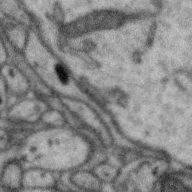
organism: Zebra finch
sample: Brain